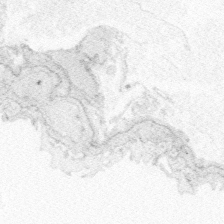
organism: Zebrafish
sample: Whole-Brain